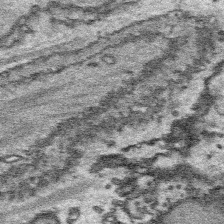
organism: Platynereis dumerilii